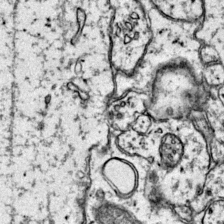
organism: Mouse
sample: Primary visual cortex